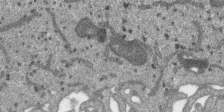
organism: Human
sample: Lung epithelial cells infected with SARS-CoV-2